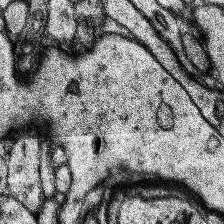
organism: Human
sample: Temporal Lobe